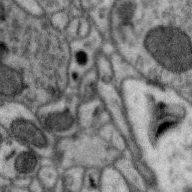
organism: Zebra finch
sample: Brain